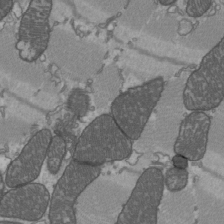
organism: C57BL Mouse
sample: Heart